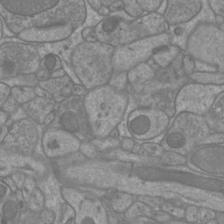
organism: Mouse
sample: Cortical neurons